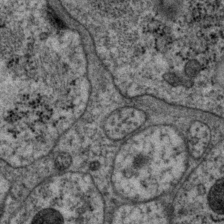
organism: P. pacificus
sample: Pharynx